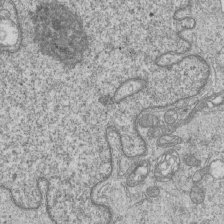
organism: Human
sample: MDA-MB-231 cells